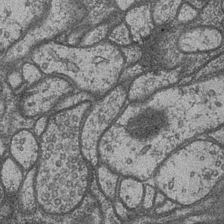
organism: Drosophila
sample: Optic medulla